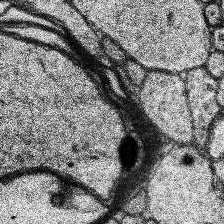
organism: Human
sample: Temporal Lobe